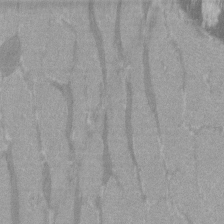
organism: C57BL Mouse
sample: Tibialis anterior muscle cell